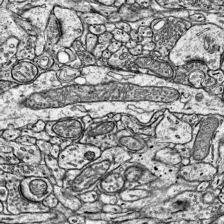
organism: Mouse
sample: Visual Cortex